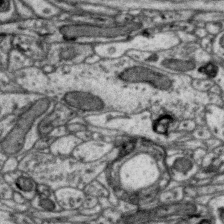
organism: Zebra finch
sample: Brain